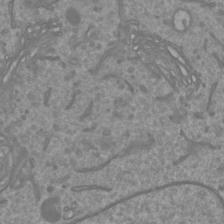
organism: Mouse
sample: Cortical neurons